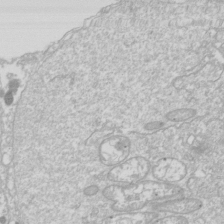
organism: Drosophila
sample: Cell division; meiosis; drosophila spermatocytes